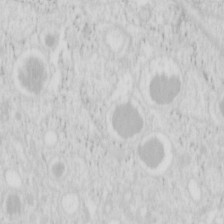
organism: Mouse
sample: Pancreas